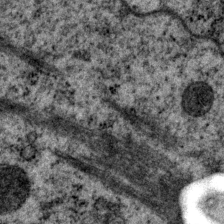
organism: P. pacificus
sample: Pharynx